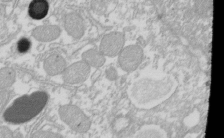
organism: Xenopus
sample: Cilia; centrioles in frog embryo cells